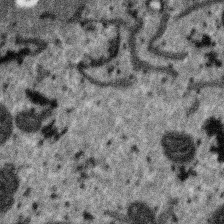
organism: Human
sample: Lung epithelial cells infected with SARS-CoV-2